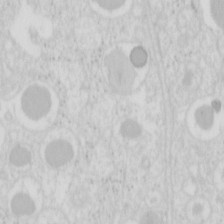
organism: Mouse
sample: Pancreas